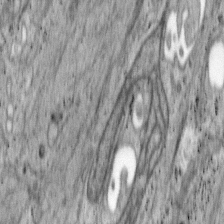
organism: Human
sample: HeLa cells